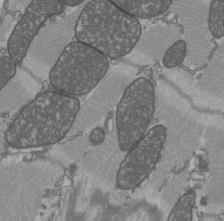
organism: C57BL Mouse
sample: Heart